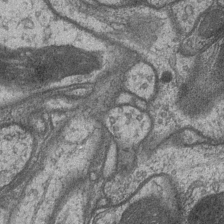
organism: Drosophila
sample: Optic medulla